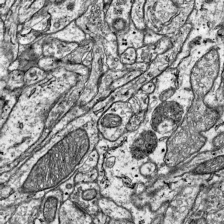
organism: Mouse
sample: Visual Cortex